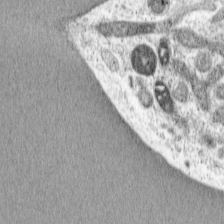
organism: African green monkey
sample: COS-7 cells